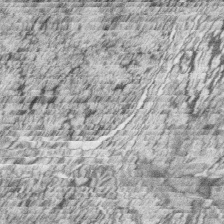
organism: Zebrafish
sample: synaptic ribbons in rod cells and cone cells